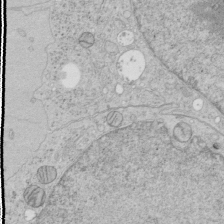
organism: Human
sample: Mitochondria in HCT116 cells